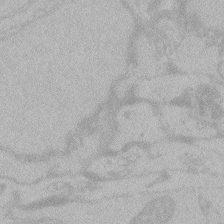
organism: Zebrafish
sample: Macrophage infected with Toxoplasma gondii